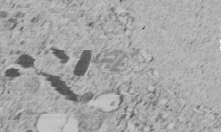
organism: C. elegans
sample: C. elegans embryo early stage